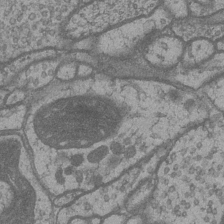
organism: Drosophila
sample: Optic medulla